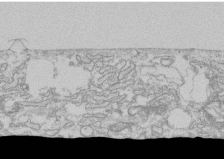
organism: Human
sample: CRL-1474